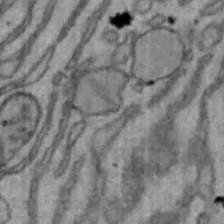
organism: Mouse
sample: Liver